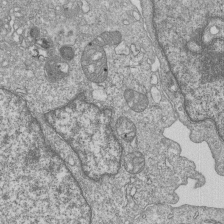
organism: Human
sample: MDA-MB-231 cells